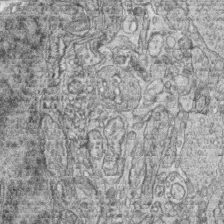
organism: Zebrafish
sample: synaptic ribbons in rod cells and cone cells